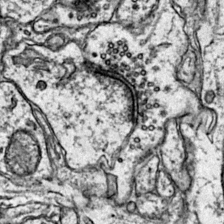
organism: Mouse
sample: Primary visual cortex